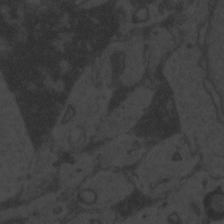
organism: Zebrafish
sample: Macrophage infected with Toxoplasma gondii